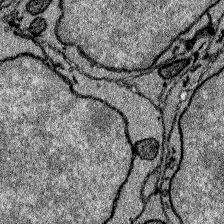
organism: Zebrafish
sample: Larval olfactory bulb